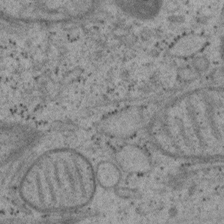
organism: Human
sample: HeLa cells